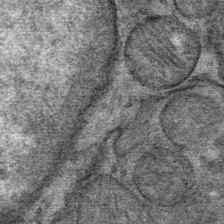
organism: Mouse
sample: Mouse Salivary gland